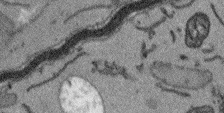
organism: Arabidopsis thaliana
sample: Root tip